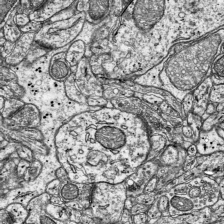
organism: Mouse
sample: Visual Cortex